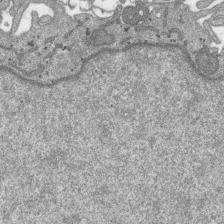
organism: Human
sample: Lung epithelial cells infected with SARS-CoV-2